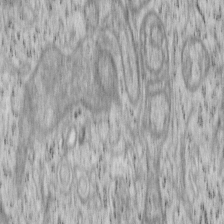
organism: Human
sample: HeLa cells